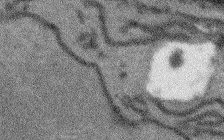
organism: Arabidopsis thaliana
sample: Root tip